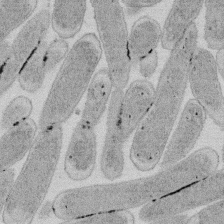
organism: E. coli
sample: Bacterial nucleoid